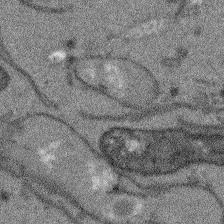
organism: Arabidopsis thaliana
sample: Root tip